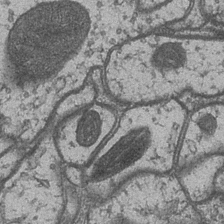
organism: Drosophila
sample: Optic medulla